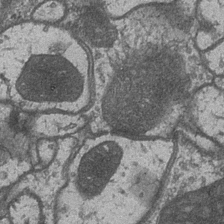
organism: Drosophila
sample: Optic medulla